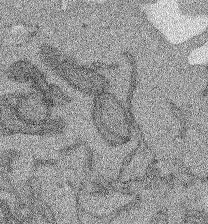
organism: Human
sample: HeLa cells